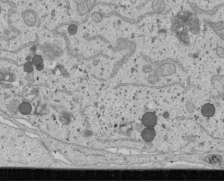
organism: Human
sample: Mitochondria in U2OS cells